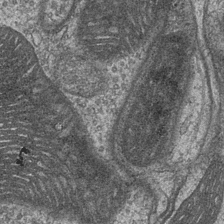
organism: Drosophila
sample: Optic medulla